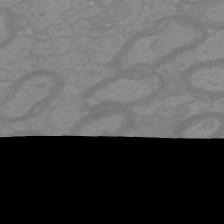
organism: Mouse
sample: Cortical neurons